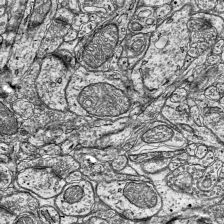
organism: Mouse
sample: Visual Cortex